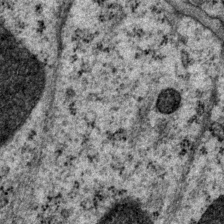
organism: P. pacificus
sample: Pharynx